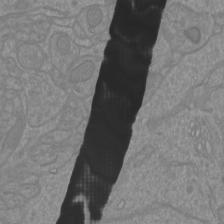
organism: Mouse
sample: Cortical neurons